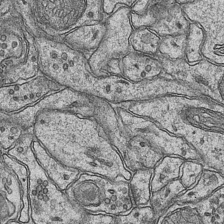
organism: Mouse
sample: CA1 Hippocampus